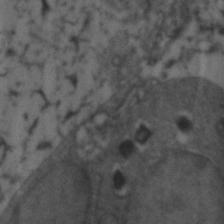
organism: Zebrafish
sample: Zebrafish embryo